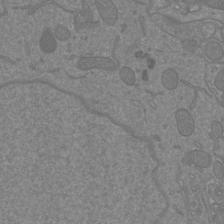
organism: Mouse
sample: Cortical neurons